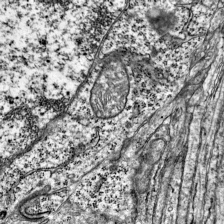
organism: Mouse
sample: Visual Cortex